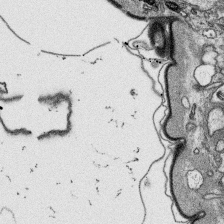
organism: Platynereis dumerilii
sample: Parapodia